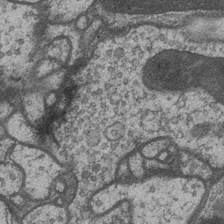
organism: Drosophila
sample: Optic medulla